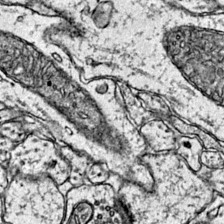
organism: Mouse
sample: Primary visual cortex